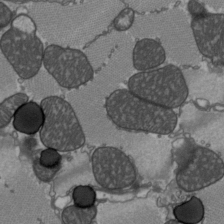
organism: C57BL Mouse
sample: Heart